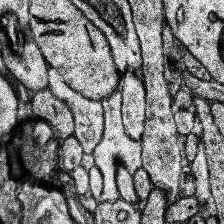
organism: Human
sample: Temporal Lobe